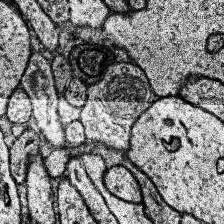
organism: Human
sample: Temporal Lobe